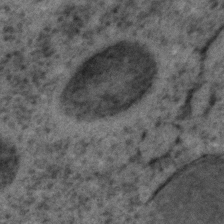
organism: C. elegans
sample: C. elegans embryo